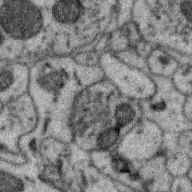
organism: Zebra finch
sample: Brain